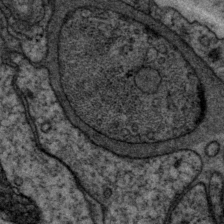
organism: P. pacificus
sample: Pharynx